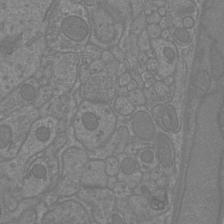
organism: Mouse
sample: Cortical neurons